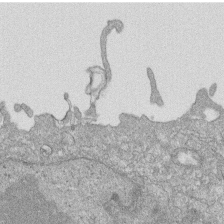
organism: Human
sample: HeLa cell HIV synapse